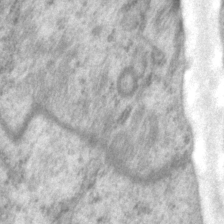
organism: P. pacificus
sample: Pharynx